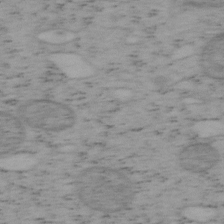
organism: Mouse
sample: OT-I killer T cells with ID8 ovarian cancer cells